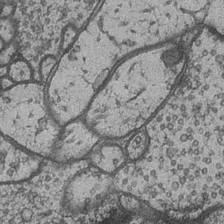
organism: Drosophila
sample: Optic medulla